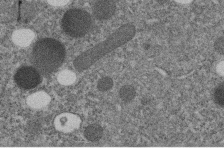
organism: C. elegans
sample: C. elegans embryo early stage